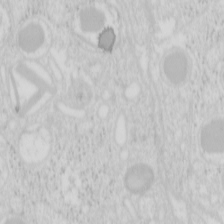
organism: Mouse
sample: Pancreas